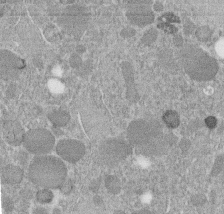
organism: C. elegans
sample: C. elegans embryo early stage